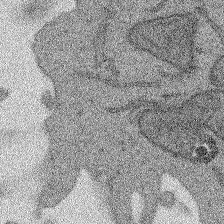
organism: Human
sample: HeLa cells